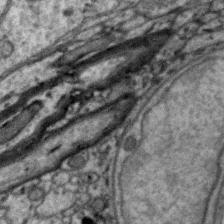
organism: Zebra finch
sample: Brain